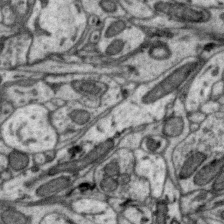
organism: Zebra finch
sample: Brain